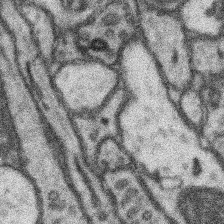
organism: Mouse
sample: Somatosensory cortex neuropil